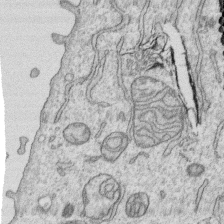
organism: Human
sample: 1205lu cells